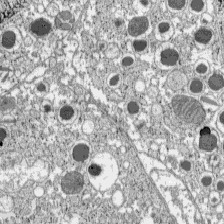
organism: C57BL Mouse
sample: Pancreatic islet